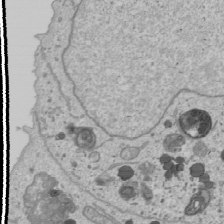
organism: Human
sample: Mitochondria in U2OS cells